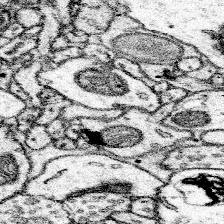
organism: Mouse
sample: Somatosensory cortex neuropil